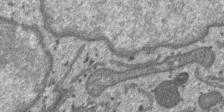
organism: Human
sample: Lung epithelial cells infected with SARS-CoV-2